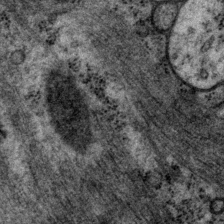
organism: P. pacificus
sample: Pharynx